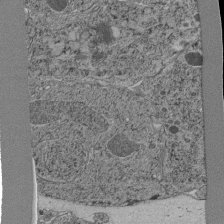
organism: C. elegans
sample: C. elegans pharynx